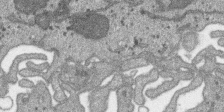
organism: Human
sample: Lung epithelial cells infected with SARS-CoV-2